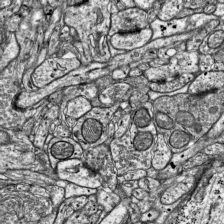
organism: Mouse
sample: Visual Cortex